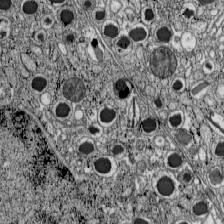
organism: C57BL Mouse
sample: Pancreatic islet